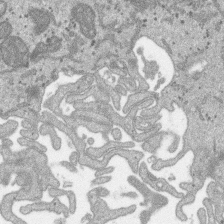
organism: Human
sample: Lung epithelial cells infected with SARS-CoV-2